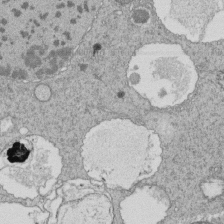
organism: Tetrahymena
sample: Cilia in tetrahymena